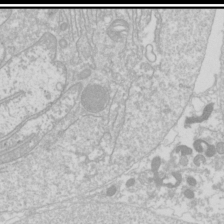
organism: Drosophila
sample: Cell division; meiosis; drosophila spermatocytes